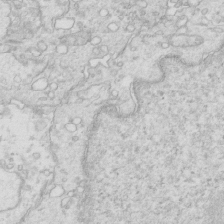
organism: Mouse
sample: Multiciliated cells